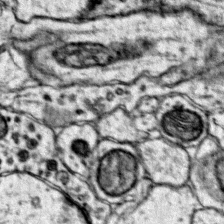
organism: Mouse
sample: Primary visual cortex